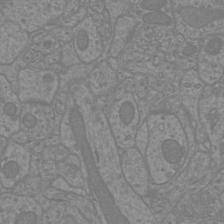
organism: Mouse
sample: Cortical neurons